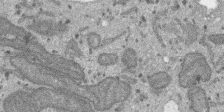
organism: Human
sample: Lung epithelial cells infected with SARS-CoV-2